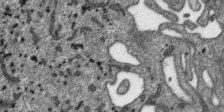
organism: Human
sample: Lung epithelial cells infected with SARS-CoV-2